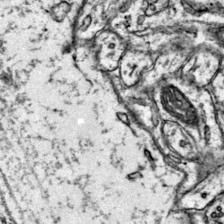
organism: Mouse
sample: Primary visual cortex